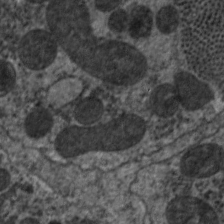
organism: C. elegans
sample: Pharynx